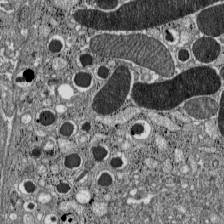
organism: C57BL Mouse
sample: Pancreatic islet